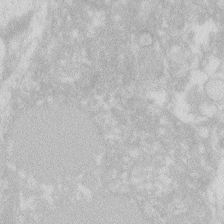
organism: Zebrafish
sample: Macrophage